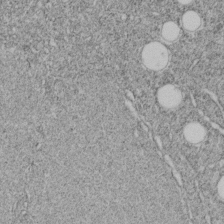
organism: C. elegans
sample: C. elegans embryo early stage